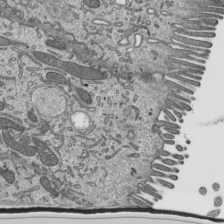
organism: Mouse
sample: Mouse epididymis efferent ductule cilia